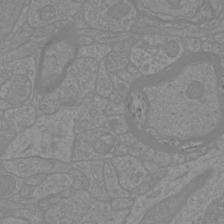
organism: Mouse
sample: Cortical neurons